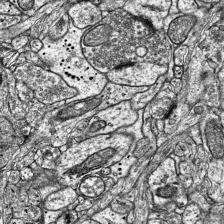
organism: Mouse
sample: Visual Cortex